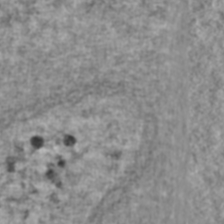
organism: Human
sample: Blood